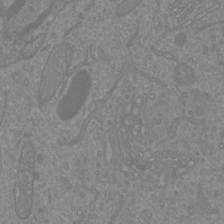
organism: Mouse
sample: Cortical neurons